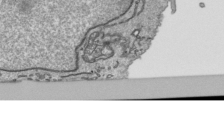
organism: Human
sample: Mitochondria in HCT116 cells